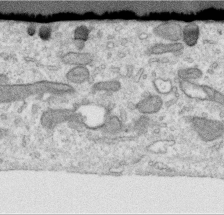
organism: Human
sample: Centriole in RPE cells